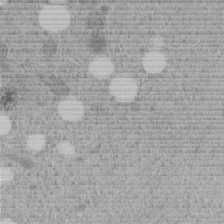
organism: C. elegans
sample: C. elegans embryo early stage